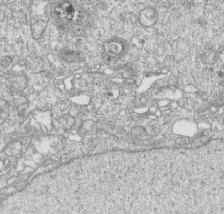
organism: Human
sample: HeLa cell HIV synapse